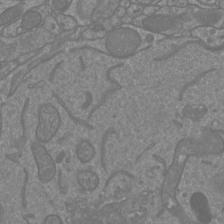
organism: Mouse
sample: Cortical neurons